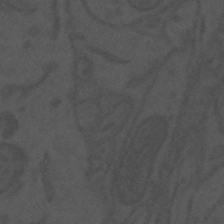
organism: Mouse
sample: Suprachiasmatic nucleus